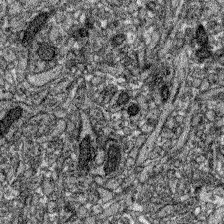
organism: Zebrafish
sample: Larval olfactory bulb